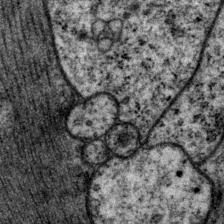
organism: P. pacificus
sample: Pharynx